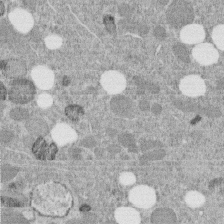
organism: C. elegans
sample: C. elegans embryo early stage